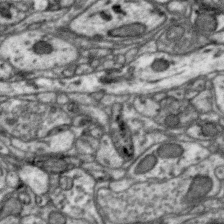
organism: Zebra finch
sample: Brain